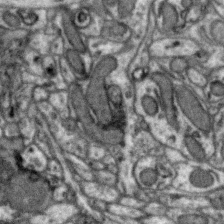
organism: Zebra finch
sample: Brain